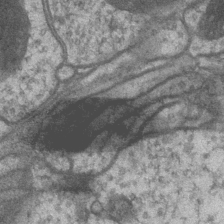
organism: Drosophila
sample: Optic medulla